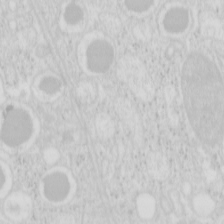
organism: Mouse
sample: Pancreas